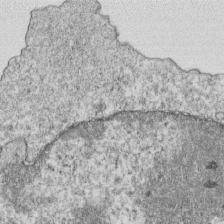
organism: Mouse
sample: Activated OT-1 CD8+ T cells